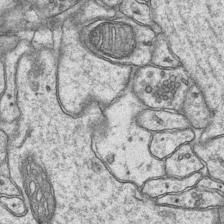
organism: Mouse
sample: CA1 Hippocampus